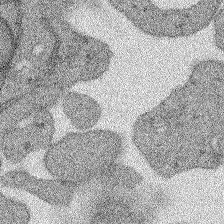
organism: Human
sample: HeLa cells